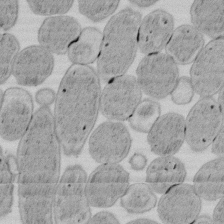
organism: E. coli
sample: Bacterial nucleoid